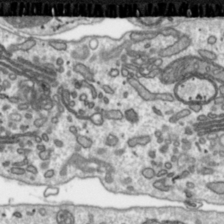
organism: Toxoplasma gondii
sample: Parasites in a vacuole inside a host cell